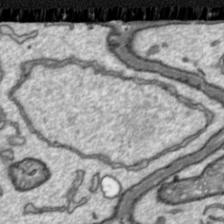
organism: Toxoplasma gondii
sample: Parasites in a vacuole inside a host cell